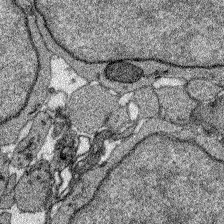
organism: Zebrafish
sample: Larval olfactory bulb